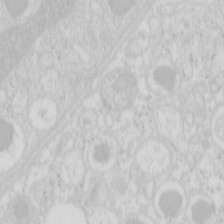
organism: Mouse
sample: Pancreas